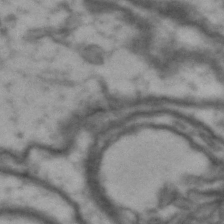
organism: Drosophila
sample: Brain